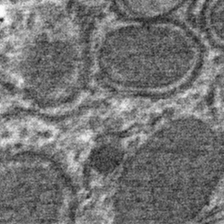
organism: Mouse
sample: Mouse hepatocytes